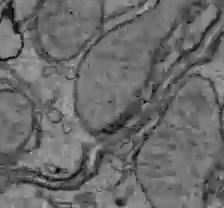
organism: C57BL Mouse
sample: Liver